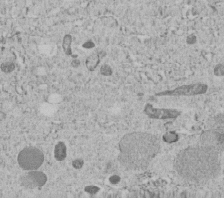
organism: C. elegans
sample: C. elegans embryo early stage